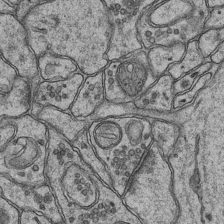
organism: Mouse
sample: CA1 Hippocampus